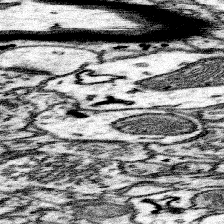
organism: Mouse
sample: Somatosensory cortex neuropil